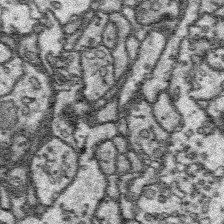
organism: Platynereis dumerilii